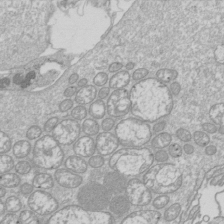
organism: Drosophila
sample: Cell division; meiosis; drosophila spermatocytes